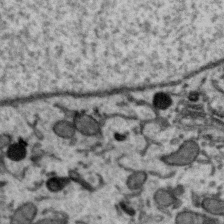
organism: Zebra finch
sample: Brain